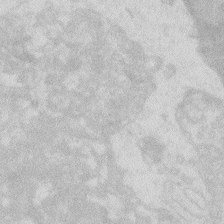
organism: Zebrafish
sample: Macrophage